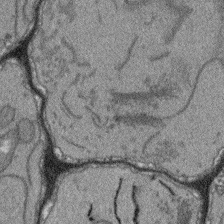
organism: Arabidopsis thaliana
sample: Root tip